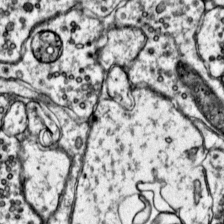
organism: Mouse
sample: Primary visual cortex